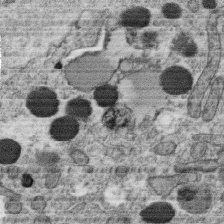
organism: C. elegans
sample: C. elegans oocyte; sperm cells